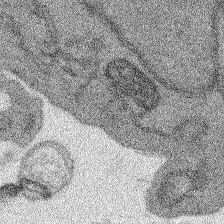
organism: Human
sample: HeLa cells